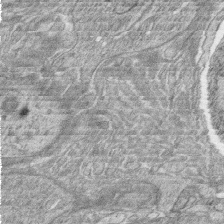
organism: Zebrafish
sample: synaptic ribbons in rod cells and cone cells